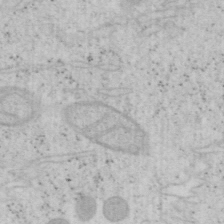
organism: Human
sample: HeLa cells